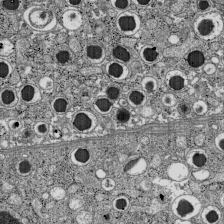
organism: C57BL Mouse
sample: Pancreatic islet